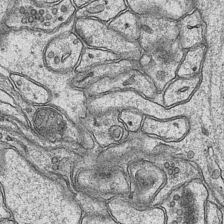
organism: Mouse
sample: CA1 Hippocampus